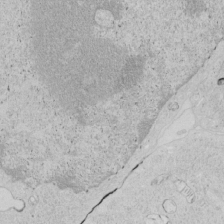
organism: Human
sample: Mitochondria in HCT116 cells